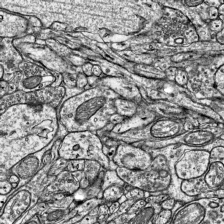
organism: Mouse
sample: Visual Cortex